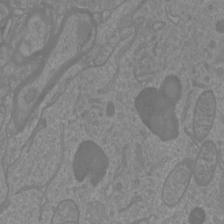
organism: Mouse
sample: Cortical neurons